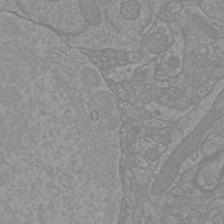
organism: Mouse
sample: Cortical neurons